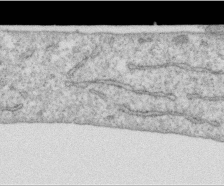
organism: Human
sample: Centriole in RPE cells